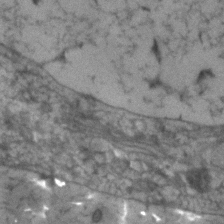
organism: Human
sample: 1205lu cells